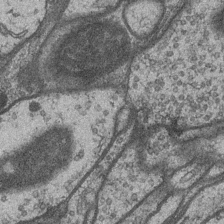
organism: Drosophila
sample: Optic medulla